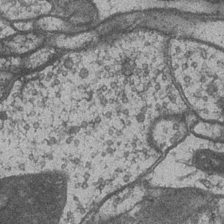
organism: Drosophila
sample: Optic medulla